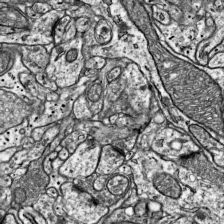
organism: Mouse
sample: Visual Cortex